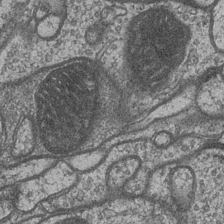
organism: Drosophila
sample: Optic medulla